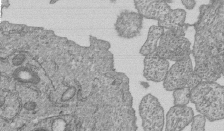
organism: Human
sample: MDA-MB-231 cells